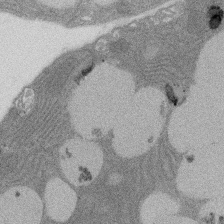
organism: Rat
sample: Salivary granule